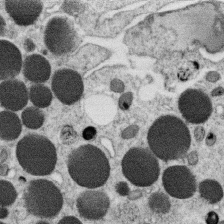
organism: C. elegans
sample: C. elegans oocyte; sperm cells